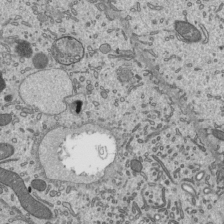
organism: Mouse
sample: Mouse epididymis efferent ductule cilia